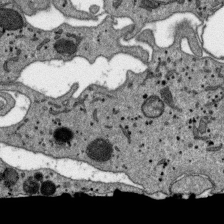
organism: Human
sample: Lung epithelial cells, uninfected (mock) control